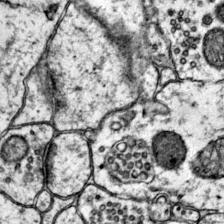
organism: Mouse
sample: Primary visual cortex